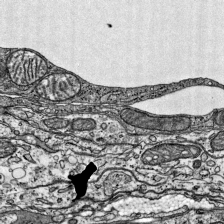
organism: Mouse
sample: Visual Cortex